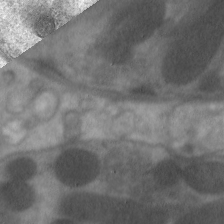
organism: C. elegans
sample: Pharynx